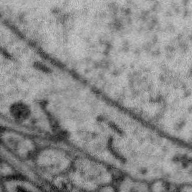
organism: Zebra finch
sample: Brain